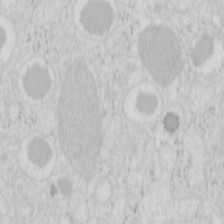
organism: Mouse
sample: Pancreas